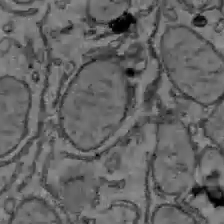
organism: C57BL Mouse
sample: Liver